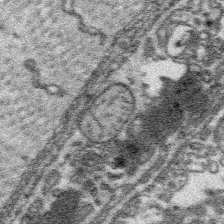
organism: Platynereis dumerilii